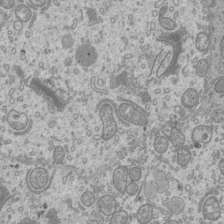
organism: Mouse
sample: Cilia; mouse epididymis